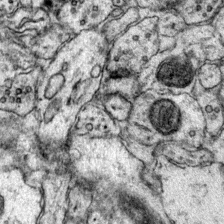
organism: Mouse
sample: Primary visual cortex